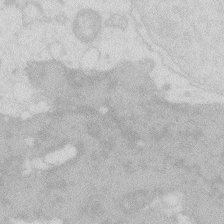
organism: Zebrafish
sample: Macrophage